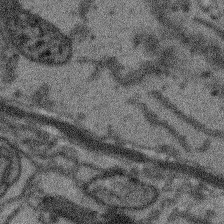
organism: Arabidopsis thaliana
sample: Root tip